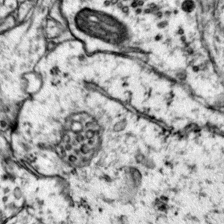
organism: Mouse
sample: Primary visual cortex